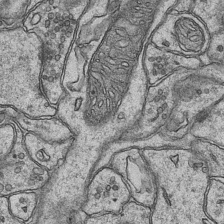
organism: Mouse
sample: CA1 Hippocampus